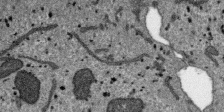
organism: Human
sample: Lung epithelial cells, uninfected (mock) control